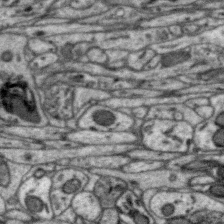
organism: Zebra finch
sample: Brain